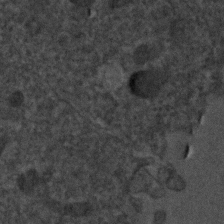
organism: C. elegans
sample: C. elegans embryo